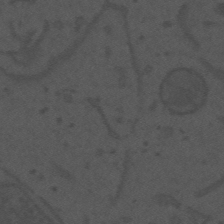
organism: Mouse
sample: Suprachiasmatic nucleus